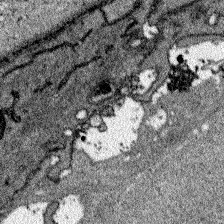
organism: Zebrafish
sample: Larval olfactory bulb